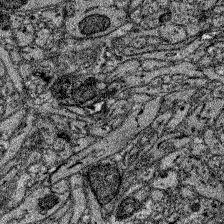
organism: Zebrafish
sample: Larval olfactory bulb